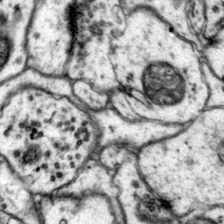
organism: Mouse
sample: Primary visual cortex